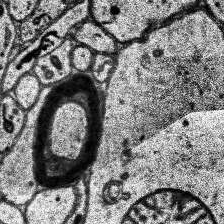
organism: Human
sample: Temporal Lobe